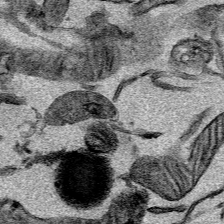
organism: Mouse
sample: Cancer cell death in ED-1 cells